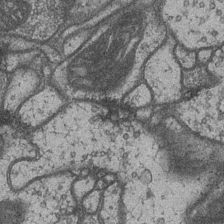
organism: Drosophila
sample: Optic medulla